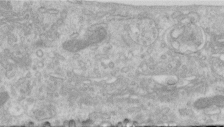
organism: Human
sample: Centriole in RPE cells